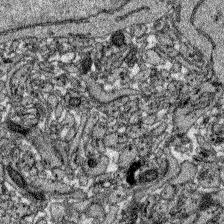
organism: Zebrafish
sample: Larval olfactory bulb